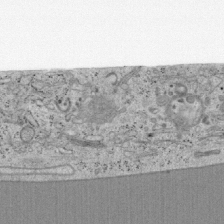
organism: Human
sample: HeLa cells